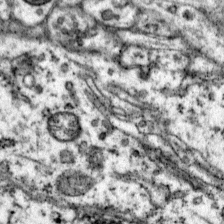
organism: Mouse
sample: Primary visual cortex